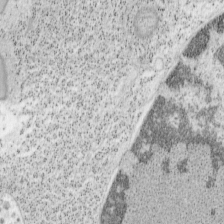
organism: Mouse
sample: OT-I killer T cells with ID8 ovarian cancer cells